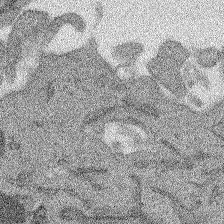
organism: Human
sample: HeLa cells